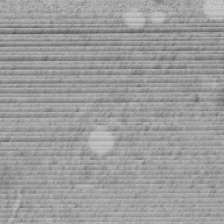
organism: C. elegans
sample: C. elegans embryo early stage